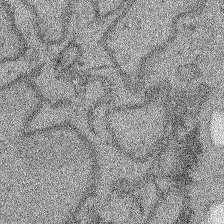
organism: Human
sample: HeLa cells